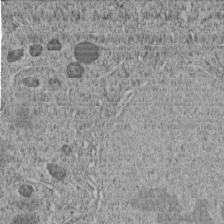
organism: C. elegans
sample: C. elegans embryo early stage